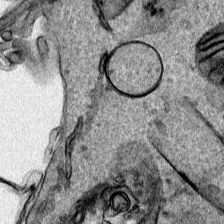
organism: Human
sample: Mitochondria in HCT116 cells